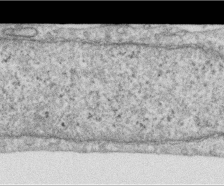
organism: Human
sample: Centriole in RPE cells